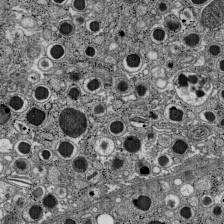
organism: C57BL Mouse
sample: Pancreatic islet